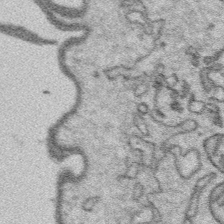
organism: Platynereis dumerilii